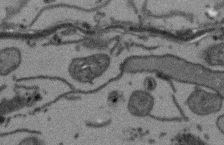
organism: Arabidopsis thaliana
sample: Root tip